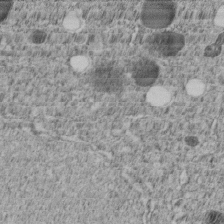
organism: C. elegans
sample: C. elegans embryo early stage